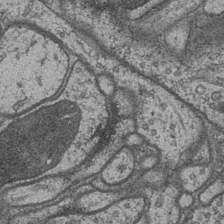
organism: Drosophila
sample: Optic medulla